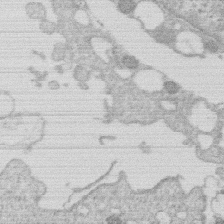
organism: Human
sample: Macrophage cells